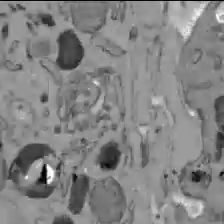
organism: C57BL Mouse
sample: Liver